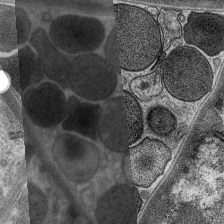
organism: C. elegans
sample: Pharynx